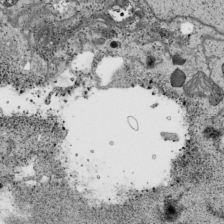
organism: Human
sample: Mitochondria in HCT116 cells